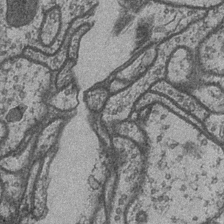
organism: Drosophila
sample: Optic medulla